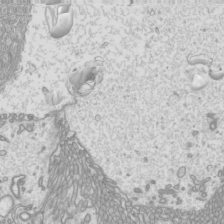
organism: Mouse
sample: Cilia; mouse epididymis